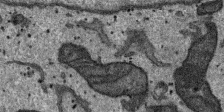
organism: Human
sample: Lung epithelial cells, uninfected (mock) control